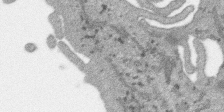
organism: Human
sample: Lung epithelial cells infected with SARS-CoV-2